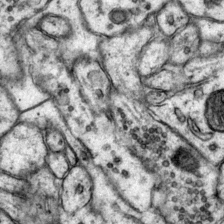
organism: Mouse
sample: Primary visual cortex